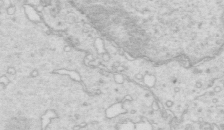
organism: Mouse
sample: Multiciliated cells